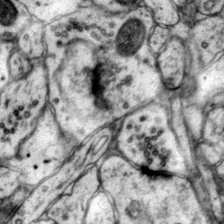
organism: Mouse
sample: Primary visual cortex